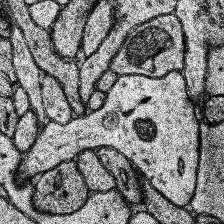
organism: Human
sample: Temporal Lobe